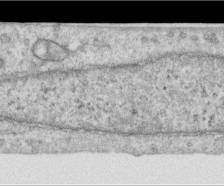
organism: Human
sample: Centriole in RPE cells